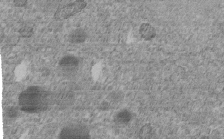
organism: C. elegans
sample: C. elegans embryo early stage